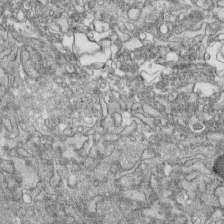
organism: Human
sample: CRL-1474